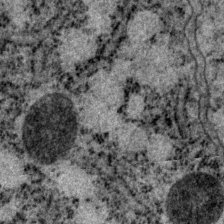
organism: P. pacificus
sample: Pharynx